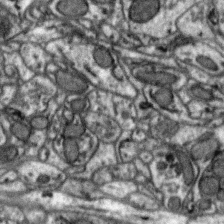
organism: Zebra finch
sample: Brain